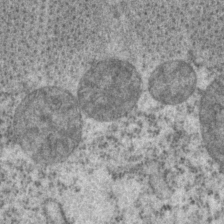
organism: P. pacificus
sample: Pharynx